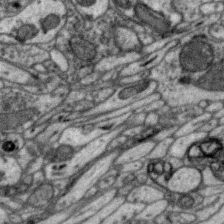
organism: Zebra finch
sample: Brain